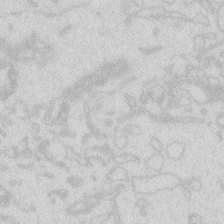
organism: Zebrafish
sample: Macrophage